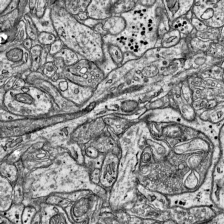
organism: Mouse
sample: Visual Cortex